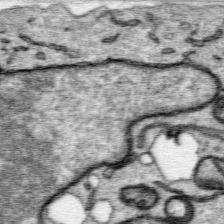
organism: Human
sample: HeLa cells